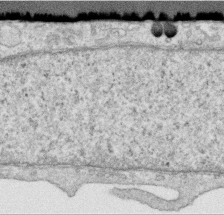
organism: Human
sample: Centriole in RPE cells